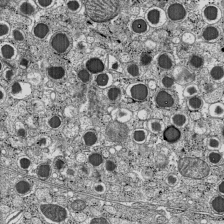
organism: C57BL Mouse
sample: Pancreatic islet